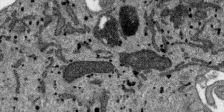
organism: Human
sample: Lung epithelial cells, uninfected (mock) control